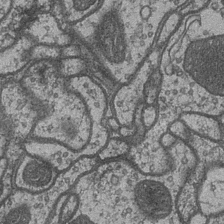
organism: Drosophila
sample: Optic medulla